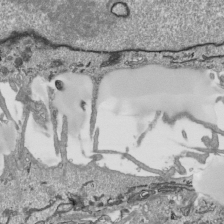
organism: Human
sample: Mitochondria in HCT116 cells